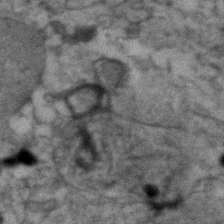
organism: Human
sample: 1205lu cells